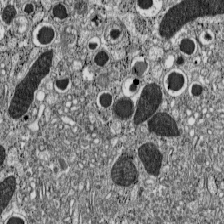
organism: C57BL Mouse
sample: Pancreatic islet